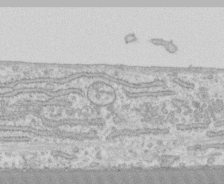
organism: Human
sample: CRL-1474